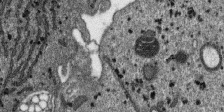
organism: Human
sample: Lung epithelial cells infected with SARS-CoV-2